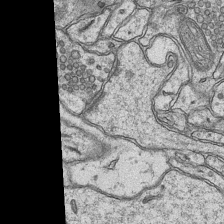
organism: Mouse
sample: CA1 Hippocampus